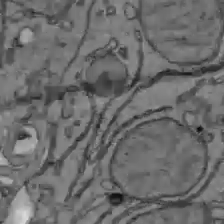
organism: C57BL Mouse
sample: Liver